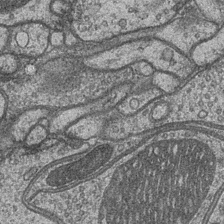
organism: Drosophila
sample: Optic medulla